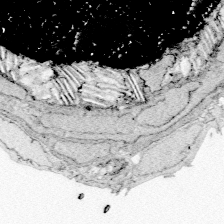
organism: Zebrafish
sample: Whole-Brain